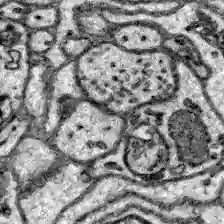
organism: Zebrafish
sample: Brain